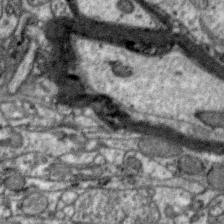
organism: Zebra finch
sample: Brain